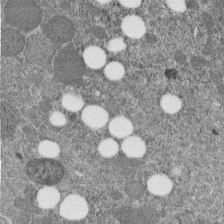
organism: C. elegans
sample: C. elegans embryo early stage